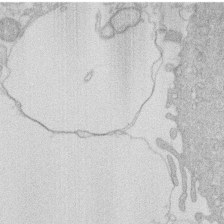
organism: Human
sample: Macrophage cells